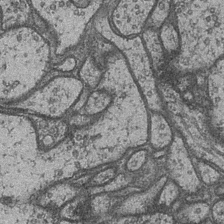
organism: Drosophila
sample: Optic medulla